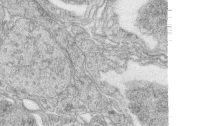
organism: Zebrafish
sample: synaptic ribbons in rod cells and cone cells